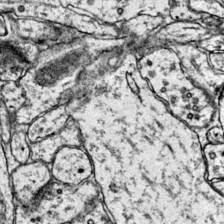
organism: Mouse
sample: Primary visual cortex